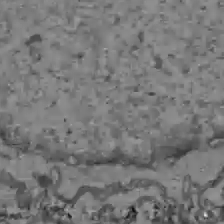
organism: C57BL Mouse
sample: Liver